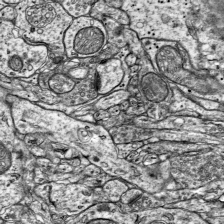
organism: Mouse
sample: Visual Cortex